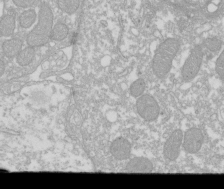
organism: Xenopus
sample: Cilia; centrioles in frog embryo cells